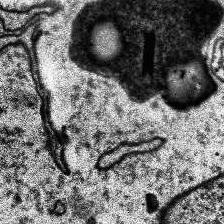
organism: Human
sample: Temporal Lobe